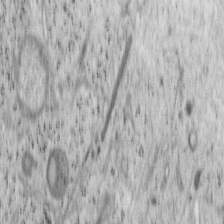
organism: Human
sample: HeLa cells